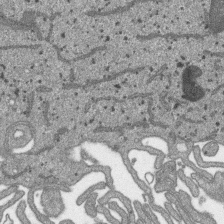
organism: Human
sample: Lung epithelial cells infected with SARS-CoV-2